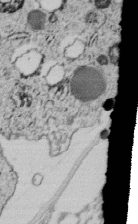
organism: C. elegans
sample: C. elegans embryo early stage